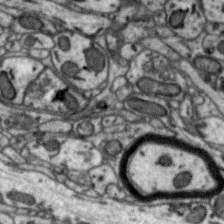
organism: Zebra finch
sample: Brain